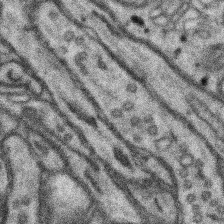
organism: Mouse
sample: Somatosensory cortex neuropil